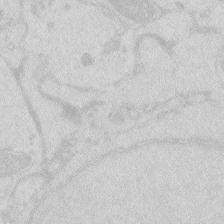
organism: Zebrafish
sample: Macrophage